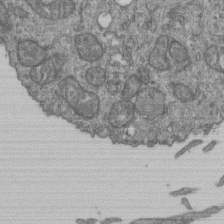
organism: Human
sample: Retinal organoid Rod and Cone cells